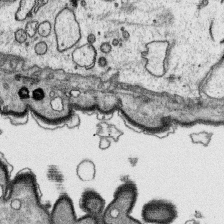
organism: Platynereis dumerilii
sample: Parapodia